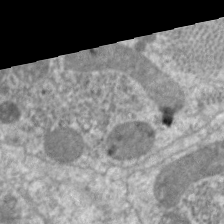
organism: C. elegans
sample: Pharynx